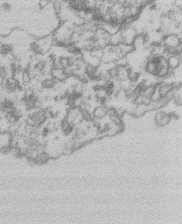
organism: Mouse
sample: T cell stromal cell synapse